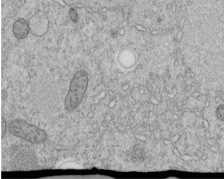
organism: C. elegans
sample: C. elegans embryo early stage